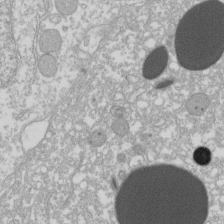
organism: Xenopus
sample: Cilia; centrioles in frog embryo cells